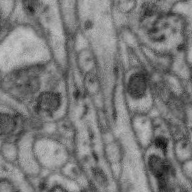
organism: Zebra finch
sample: Brain